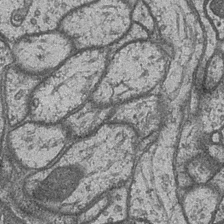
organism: Drosophila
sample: Optic medulla